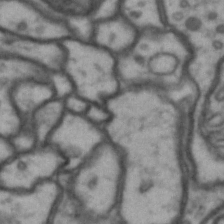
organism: Drosophila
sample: Brain